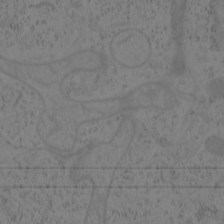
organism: Human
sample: HeLa cells